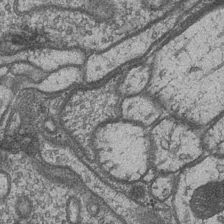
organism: Drosophila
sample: Optic medulla